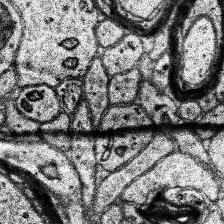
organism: Human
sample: Temporal Lobe